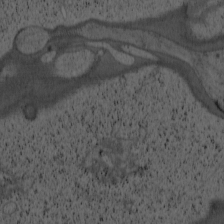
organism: African green monkey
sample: COS-7 cells